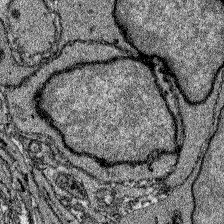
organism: Zebrafish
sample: Larval olfactory bulb